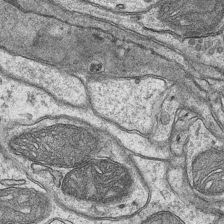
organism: Mouse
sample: CA1 Hippocampus